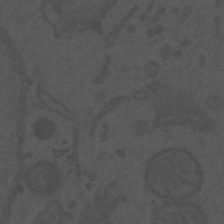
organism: Mouse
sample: Suprachiasmatic nucleus